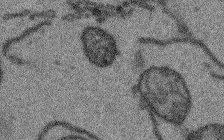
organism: Arabidopsis thaliana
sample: Root tip